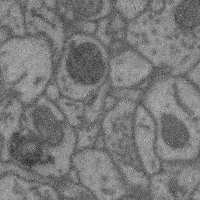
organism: Mouse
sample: Cerebral cortex